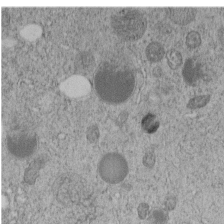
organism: C. elegans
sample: C. elegans embryo early stage